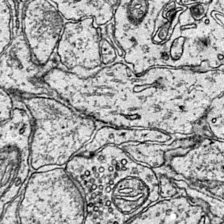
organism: Mouse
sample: Primary visual cortex